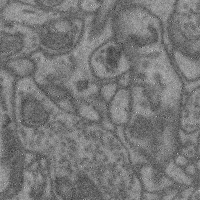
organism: Mouse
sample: Cerebral cortex